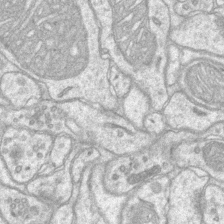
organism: Mouse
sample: CA1 Hippocampus